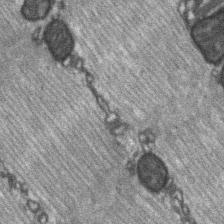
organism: C57BL Mouse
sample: Soleus